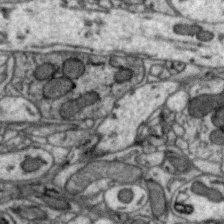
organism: Zebra finch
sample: Brain